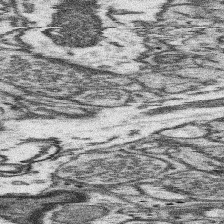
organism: Mouse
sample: Somatosensory cortex neuropil